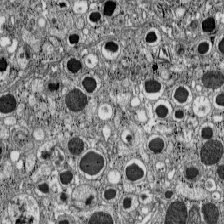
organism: C57BL Mouse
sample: Pancreatic islet